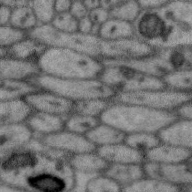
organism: Zebra finch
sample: Brain